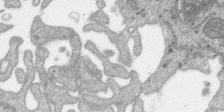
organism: Human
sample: Lung epithelial cells infected with SARS-CoV-2